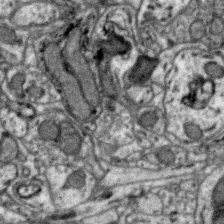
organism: Zebra finch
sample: Brain